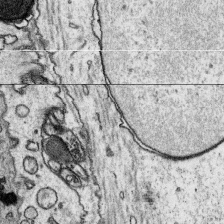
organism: Platynereis dumerilii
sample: Parapodia